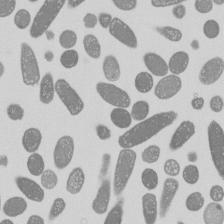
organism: E. coli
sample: Bacterial nucleoid